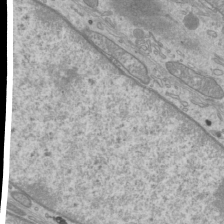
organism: Mouse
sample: Cilia; mouse epididymis